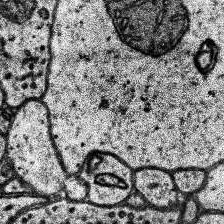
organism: Human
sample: Temporal Lobe